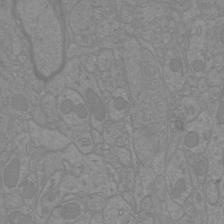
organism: Mouse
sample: Cortical neurons